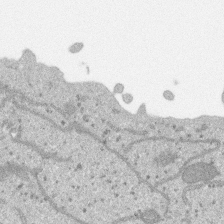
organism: Human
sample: Lung epithelial cells infected with SARS-CoV-2